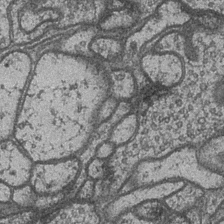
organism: Drosophila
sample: Optic medulla